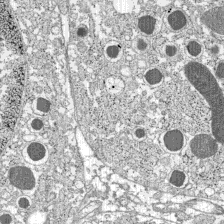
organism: C57BL Mouse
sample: Pancreatic islet